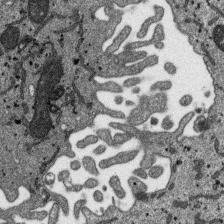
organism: Human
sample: Lung epithelial cells infected with SARS-CoV-2